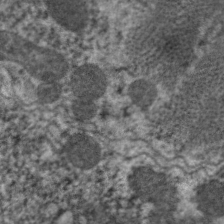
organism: C. elegans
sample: Pharynx